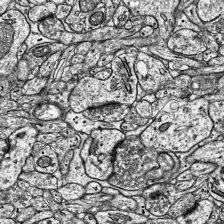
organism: Mouse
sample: Visual Cortex